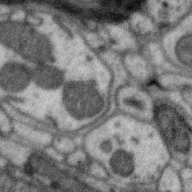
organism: Zebra finch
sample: Brain